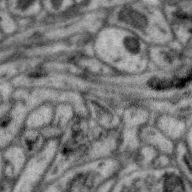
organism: Zebra finch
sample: Brain